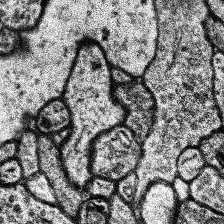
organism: Human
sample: Temporal Lobe